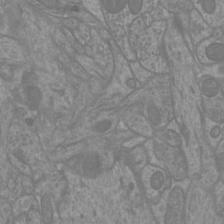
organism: Mouse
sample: Cortical neurons